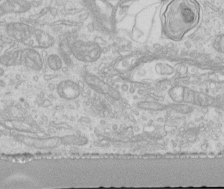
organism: Human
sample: Centriole in RPE cells